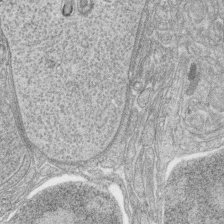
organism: Zebrafish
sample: synaptic ribbons in rod cells and cone cells